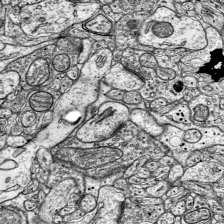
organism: Mouse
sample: Visual Cortex